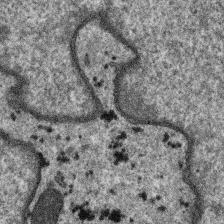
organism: Human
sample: Lung epithelial cells infected with SARS-CoV-2